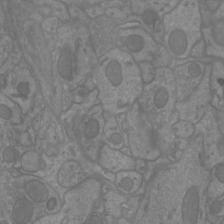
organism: Mouse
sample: Cortical neurons